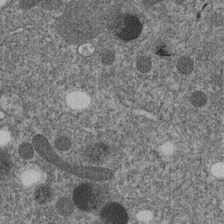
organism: C. elegans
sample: C. elegans embryo early stage